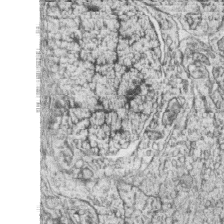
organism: Zebrafish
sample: synaptic ribbons in rod cells and cone cells